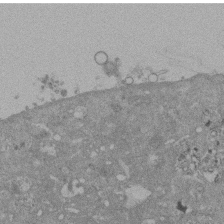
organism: Mouse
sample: ED-1 cell nuclei; centrioles